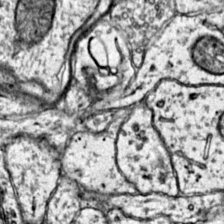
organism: Mouse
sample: Primary visual cortex